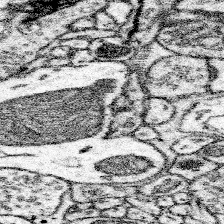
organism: Mouse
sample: Somatosensory cortex neuropil